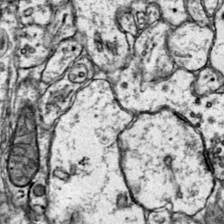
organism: Mouse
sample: Primary visual cortex